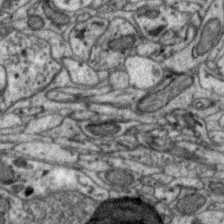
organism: Zebra finch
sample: Brain